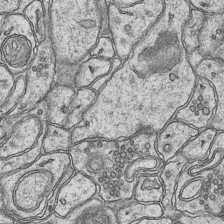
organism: Mouse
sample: CA1 Hippocampus